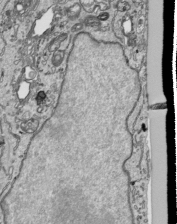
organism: Human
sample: Mitochondria in HCT116 cells